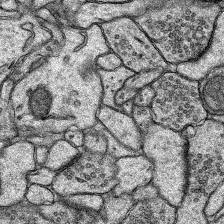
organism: Rat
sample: Hippocampus